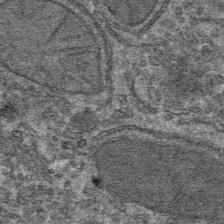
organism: Mouse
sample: Mouse hepatocytes